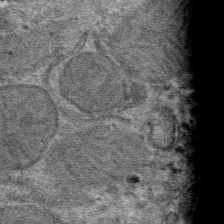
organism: Mouse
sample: Mouse hepatocytes